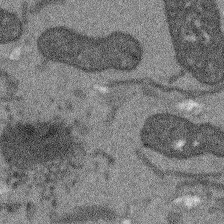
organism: Arabidopsis thaliana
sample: Root tip